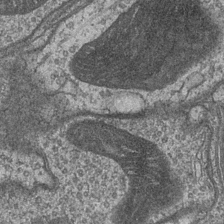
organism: Drosophila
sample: Optic medulla